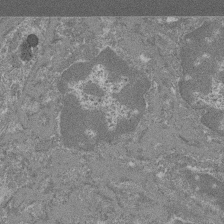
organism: Mouse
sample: Glomerulus